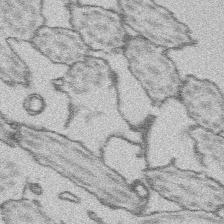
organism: Platynereis dumerilii